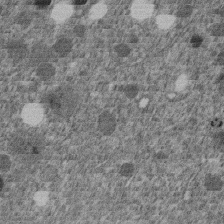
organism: C. elegans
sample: C. elegans embryo early stage